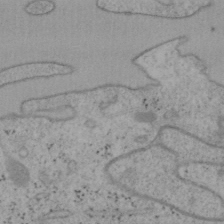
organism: Human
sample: HeLa cells